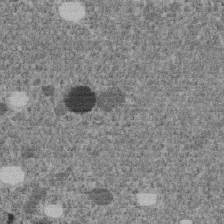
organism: C. elegans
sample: C. elegans embryo early stage